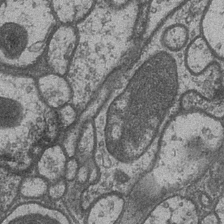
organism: Drosophila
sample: Optic medulla